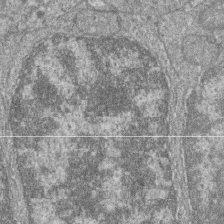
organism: Zebrafish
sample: Cilia; retinal pigment epithelium